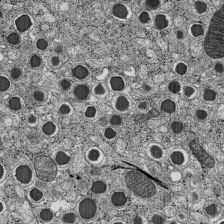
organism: C57BL Mouse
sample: Pancreatic islet